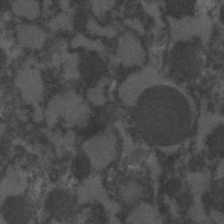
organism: C. elegans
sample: C. elegans embryo